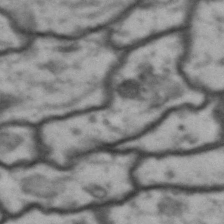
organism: Drosophila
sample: Brain